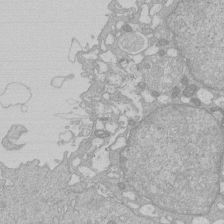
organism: Human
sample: Macrophage cells